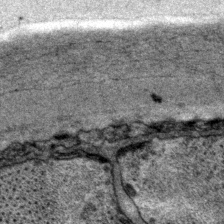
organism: P. pacificus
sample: Pharynx